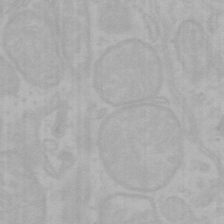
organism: Mouse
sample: Choroid plexus